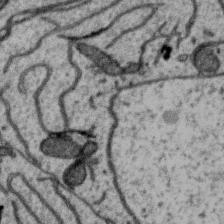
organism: Zebra finch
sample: Brain